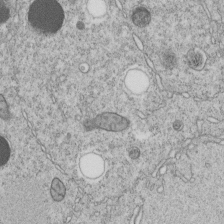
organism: C. elegans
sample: C. elegans embryo early stage